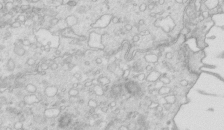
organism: Mouse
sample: Multiciliated cells